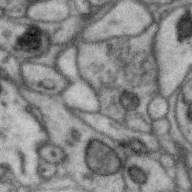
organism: Zebra finch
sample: Brain